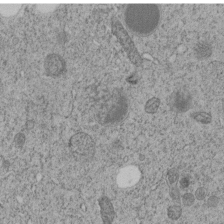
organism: C. elegans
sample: C. elegans embryo early stage